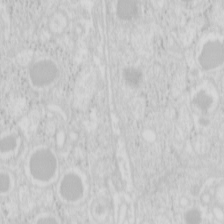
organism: Mouse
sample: Pancreas